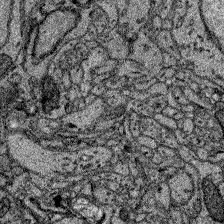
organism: Zebrafish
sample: Larval olfactory bulb